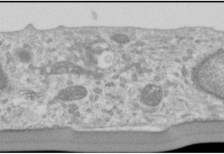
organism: Human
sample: Cilia; basal body in RPE cells